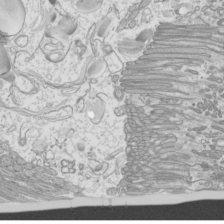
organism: Mouse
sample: Cilia; mouse epididymis